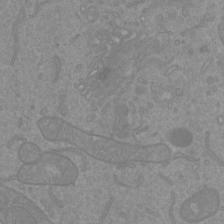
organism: Mouse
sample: Cortical neurons